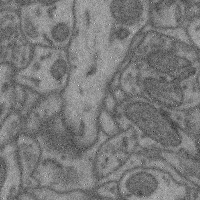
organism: Mouse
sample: Cerebral cortex